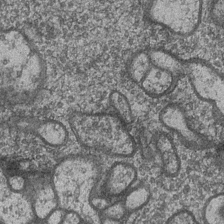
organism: Drosophila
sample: Optic medulla